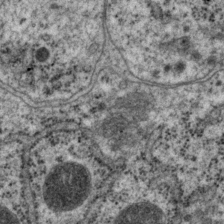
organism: P. pacificus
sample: Pharynx